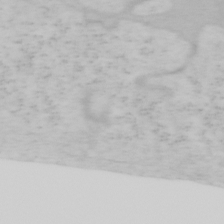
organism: Mouse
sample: OT-I killer T cells with ID8 ovarian cancer cells